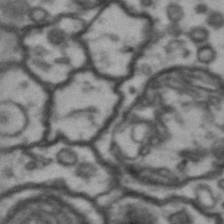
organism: Drosophila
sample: Brain